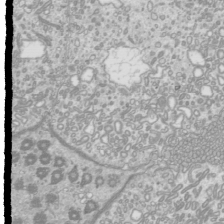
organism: Mouse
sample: Cilia; mouse epididymis